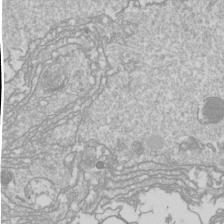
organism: Drosophila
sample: Cell division; meiosis; drosophila spermatocytes